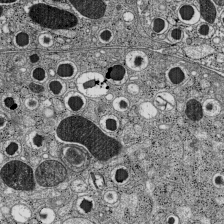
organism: C57BL Mouse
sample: Pancreatic islet